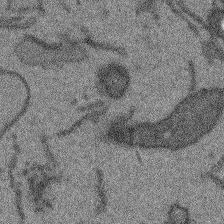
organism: Arabidopsis thaliana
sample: Root tip